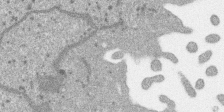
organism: Human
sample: Lung epithelial cells infected with SARS-CoV-2